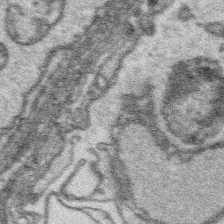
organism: Platynereis dumerilii